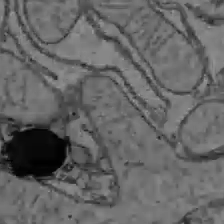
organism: C57BL Mouse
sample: Liver